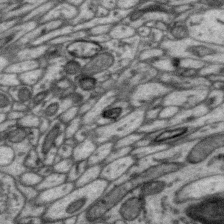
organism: Zebra finch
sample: Brain